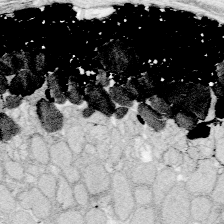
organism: Zebrafish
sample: Whole-Brain